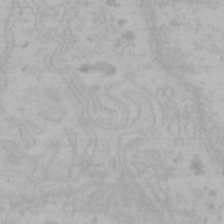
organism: Mouse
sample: Choroid plexus